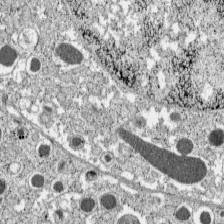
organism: C57BL Mouse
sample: Pancreatic islet